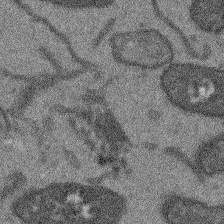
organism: Arabidopsis thaliana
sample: Root tip